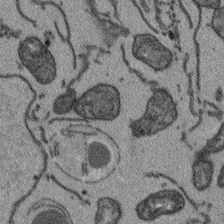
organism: Arabidopsis thaliana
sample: Root tip